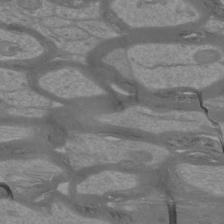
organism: Mouse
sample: Cortical neurons